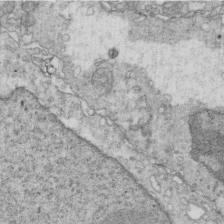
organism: Mouse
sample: Multiciliated cells